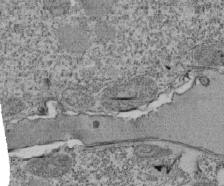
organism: Tetrahymena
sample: Cilia in tetrahymena